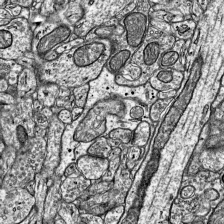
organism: Mouse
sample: Visual Cortex